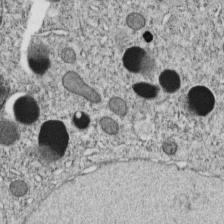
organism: C. elegans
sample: C. elegans embryo early stage